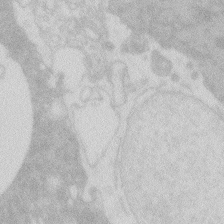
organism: Zebrafish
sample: Macrophage